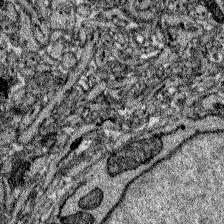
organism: Zebrafish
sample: Larval olfactory bulb